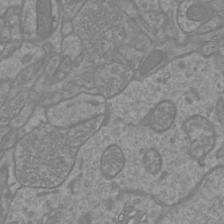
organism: Mouse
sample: Cortical neurons